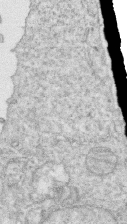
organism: Human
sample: HeLa cell HIV synapse